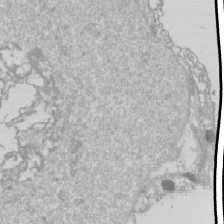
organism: Drosophila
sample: Cell division; meiosis; drosophila spermatocytes